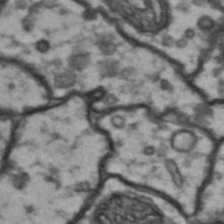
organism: Drosophila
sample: Brain